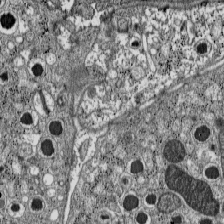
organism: C57BL Mouse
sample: Pancreatic islet